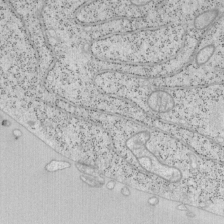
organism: Mouse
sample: OT-I killer T cells with ID8 ovarian cancer cells